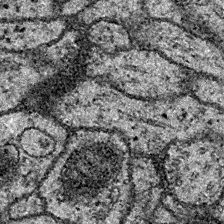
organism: Drosophila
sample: Ventral Nerve Cord